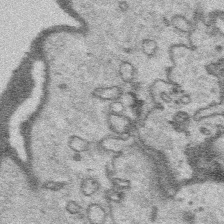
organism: Platynereis dumerilii